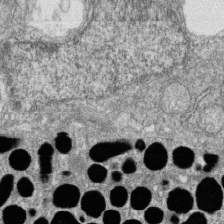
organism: Zebrafish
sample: Cilia; retinal pigment epithelium